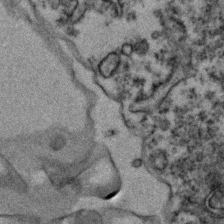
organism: Zebrafish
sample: Zebrafish embryo